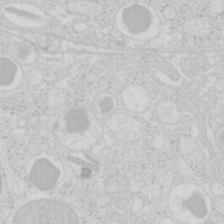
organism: Mouse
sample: Pancreas